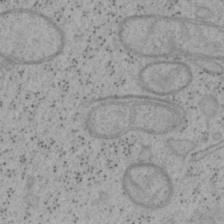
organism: Human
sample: HeLa cells